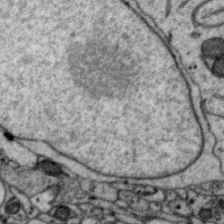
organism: Zebra finch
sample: Brain